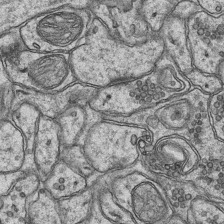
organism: Mouse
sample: CA1 Hippocampus